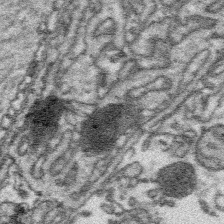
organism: Platynereis dumerilii